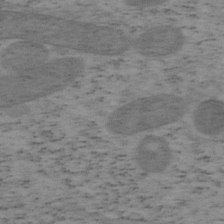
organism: Mouse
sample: OT-I killer T cells with ID8 ovarian cancer cells